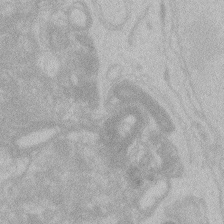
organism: Zebrafish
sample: Macrophage infected with Toxoplasma gondii